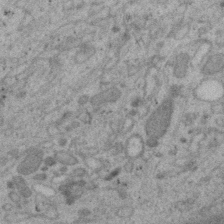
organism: Human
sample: HeLa cells